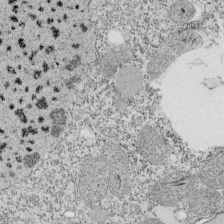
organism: Tetrahymena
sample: Cilia in tetrahymena